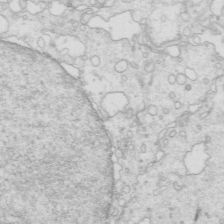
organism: Mouse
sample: Multiciliated cells